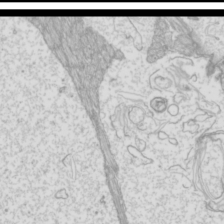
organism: Mouse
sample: Cilia; mouse epididymis